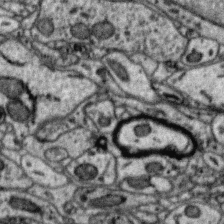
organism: Zebra finch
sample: Brain